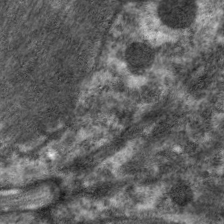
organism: C. elegans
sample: Pharynx